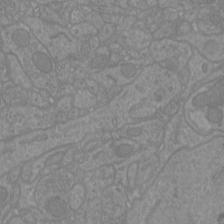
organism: Mouse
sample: Cortical neurons